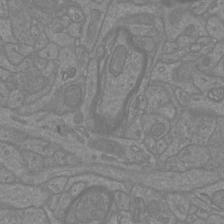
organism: Mouse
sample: Cortical neurons